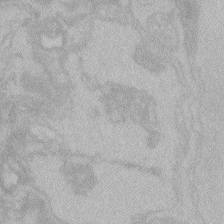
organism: Zebrafish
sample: Macrophage infected with Toxoplasma gondii